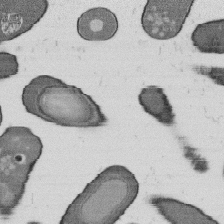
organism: B. subtilis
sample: Bacterial spore